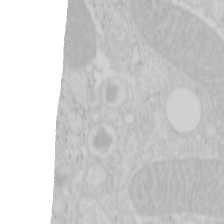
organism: Mouse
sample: Pancreas